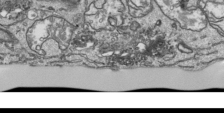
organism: Human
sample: Mitochondria in HCT116 cells